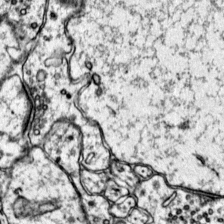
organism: Mouse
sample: Primary visual cortex